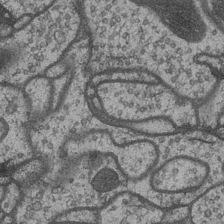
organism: Drosophila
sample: Optic medulla